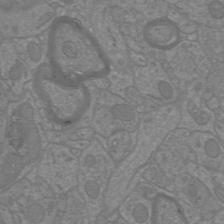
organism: Mouse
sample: Cortical neurons